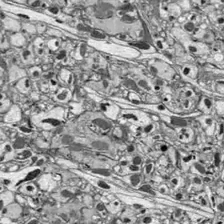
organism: Drosophila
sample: Optic lobe